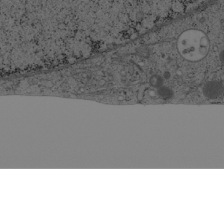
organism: African green monkey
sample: COS-7 cells